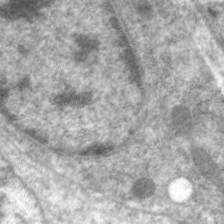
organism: C. elegans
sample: Pharynx